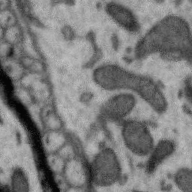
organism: Zebra finch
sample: Brain